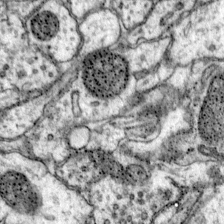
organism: Mouse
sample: Primary visual cortex